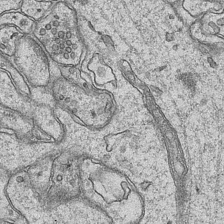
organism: Mouse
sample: CA1 Hippocampus